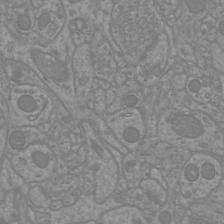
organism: Mouse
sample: Cortical neurons